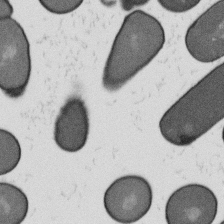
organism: B. subtilis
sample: Bacterial spore